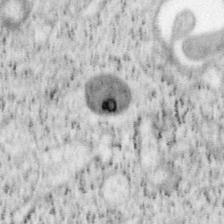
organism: Mouse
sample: OT-I killer T cells with ID8 ovarian cancer cells